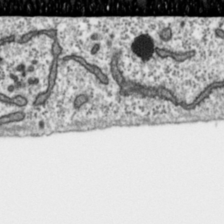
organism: Toxoplasma gondii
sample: Parasites in a vacuole inside a host cell